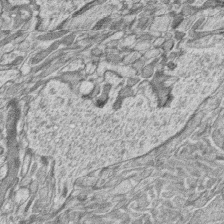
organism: Zebrafish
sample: synaptic ribbons in rod cells and cone cells